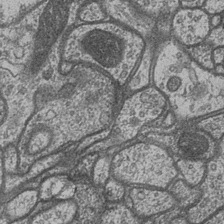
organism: Drosophila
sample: Optic medulla